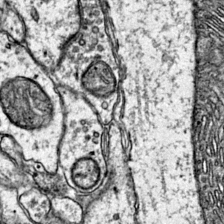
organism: Mouse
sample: Primary visual cortex